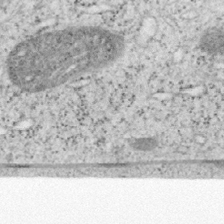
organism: Mouse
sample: OT-I killer T cells with ID8 ovarian cancer cells